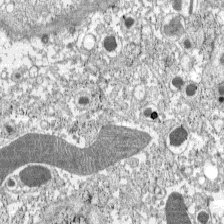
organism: C57BL Mouse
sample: Pancreatic islet